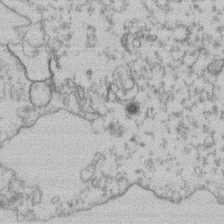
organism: Mouse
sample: T cell stromal cell synapse